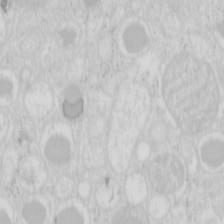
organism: Mouse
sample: Pancreas